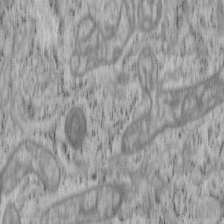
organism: Human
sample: HeLa cells